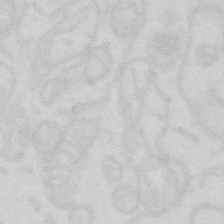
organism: Human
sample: HeLa cells